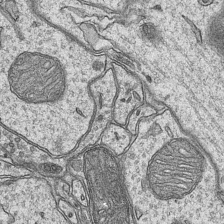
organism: Mouse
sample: CA1 Hippocampus